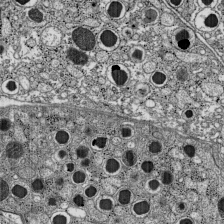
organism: C57BL Mouse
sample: Pancreatic islet